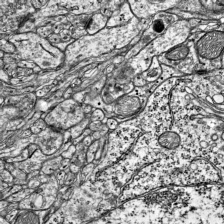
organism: Mouse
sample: Visual Cortex